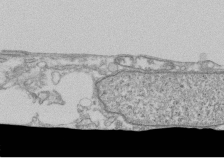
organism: Human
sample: Fibroblast cells